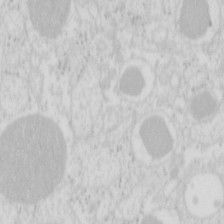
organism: Mouse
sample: Pancreas